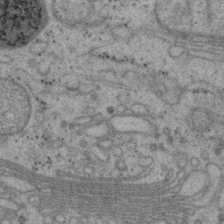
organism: Human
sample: HeLa cells